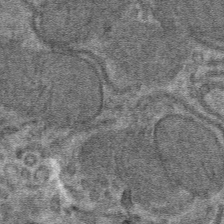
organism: Mouse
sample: Mouse hepatocytes